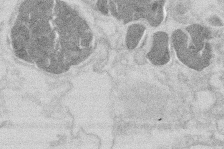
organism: Mouse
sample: T cell stromal cell synapse